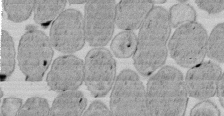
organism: E. coli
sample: Bacterial nucleoid